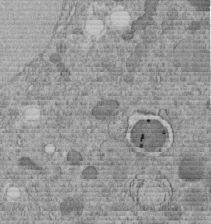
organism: C. elegans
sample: C. elegans embryo early stage